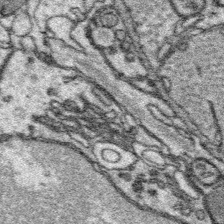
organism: Platynereis dumerilii